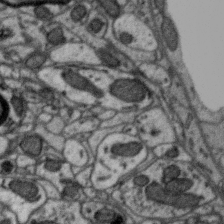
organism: Zebra finch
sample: Brain